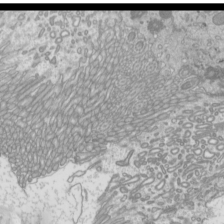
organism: Mouse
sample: Cilia; mouse epididymis